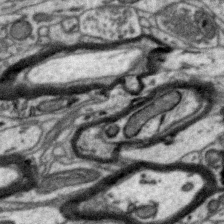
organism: Zebra finch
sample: Brain